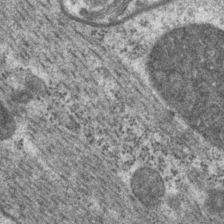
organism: P. pacificus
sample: Pharynx